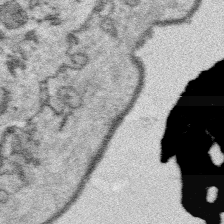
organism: Platynereis dumerilii